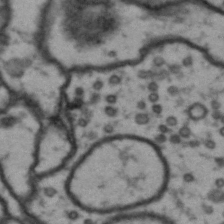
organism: Drosophila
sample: Brain